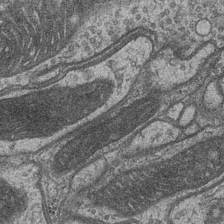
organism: Drosophila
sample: Optic medulla